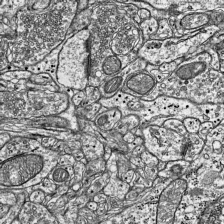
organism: Mouse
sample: Visual Cortex